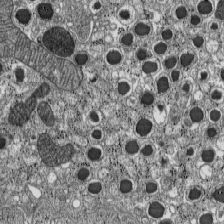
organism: C57BL Mouse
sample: Pancreatic islet